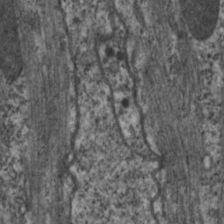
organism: C. elegans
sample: Pharynx